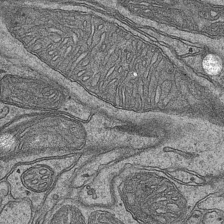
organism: Mouse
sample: CA1 Hippocampus